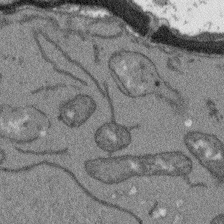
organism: Arabidopsis thaliana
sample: Root tip